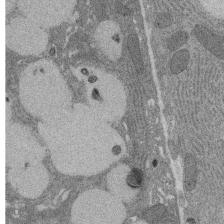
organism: Rat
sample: Salivary granule